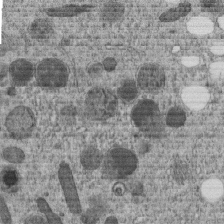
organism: C. elegans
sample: C. elegans embryo early stage